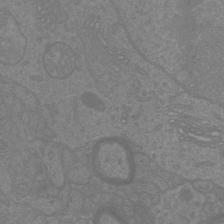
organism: Mouse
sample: Cortical neurons